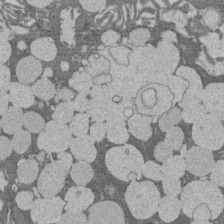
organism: Rat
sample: Salivary granule